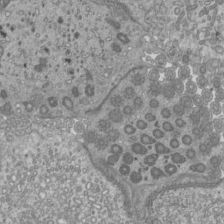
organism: Mouse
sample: Cilia; mouse epididymis